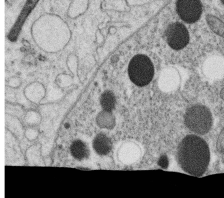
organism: C. elegans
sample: C. elegans oocyte; sperm cells